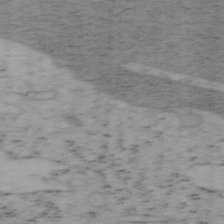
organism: Mouse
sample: OT-I killer T cells with ID8 ovarian cancer cells